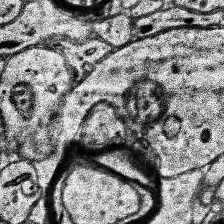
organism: Human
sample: Temporal Lobe